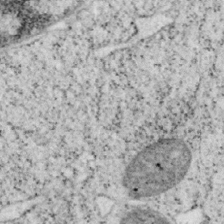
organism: Mouse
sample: OT-I killer T cells with ID8 ovarian cancer cells